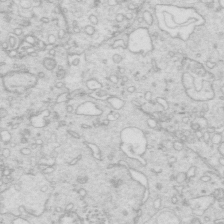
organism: Mouse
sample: Multiciliated cells